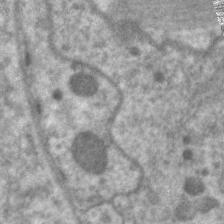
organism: C. elegans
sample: Pharynx